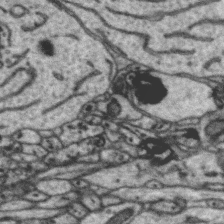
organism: Zebra finch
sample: Brain